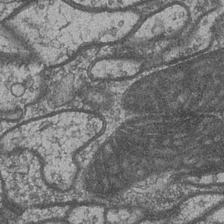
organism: Drosophila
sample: Optic medulla